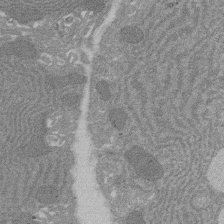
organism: Rat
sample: Salivary granule